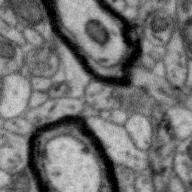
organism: Zebra finch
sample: Brain